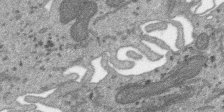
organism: Human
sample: Lung epithelial cells infected with SARS-CoV-2